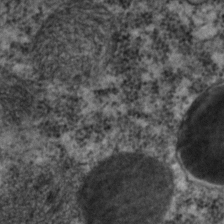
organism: C. elegans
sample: C. elegans embryo